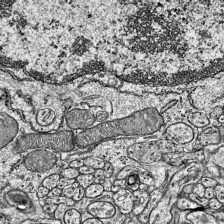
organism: Mouse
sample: Visual Cortex